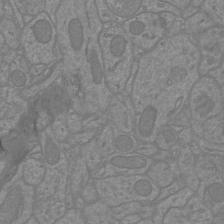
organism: Mouse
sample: Cortical neurons